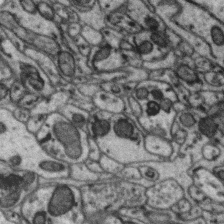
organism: Zebra finch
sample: Brain